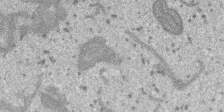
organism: Human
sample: Lung epithelial cells infected with SARS-CoV-2